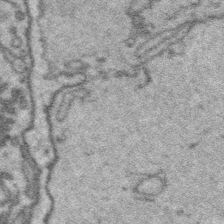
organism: Platynereis dumerilii